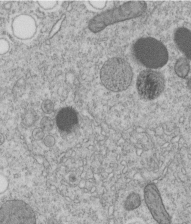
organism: C. elegans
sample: C. elegans embryo early stage